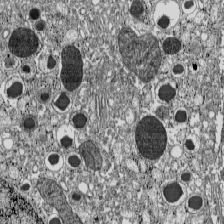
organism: C57BL Mouse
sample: Pancreatic islet